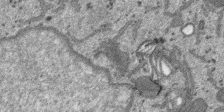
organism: Human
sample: Lung epithelial cells infected with SARS-CoV-2